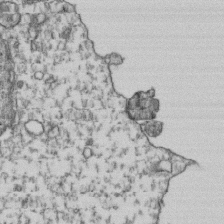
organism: Human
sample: Activated Jurkat CD4+ T cells